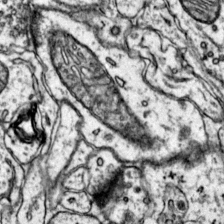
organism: Mouse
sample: Primary visual cortex